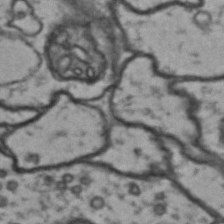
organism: Drosophila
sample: Brain